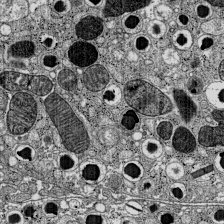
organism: C57BL Mouse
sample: Pancreatic islet